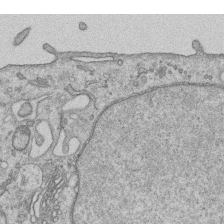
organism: Human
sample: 1205lu cells